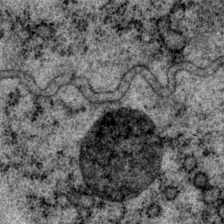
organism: P. pacificus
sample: Pharynx